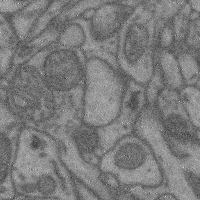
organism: Mouse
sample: Cerebral cortex